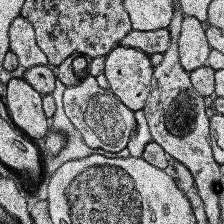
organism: Human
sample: Temporal Lobe